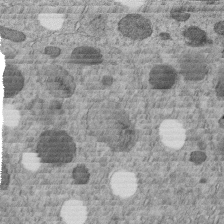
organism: C. elegans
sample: C. elegans embryo early stage